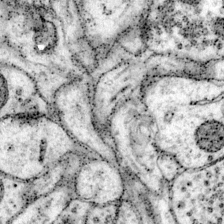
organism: Mouse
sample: Primary visual cortex